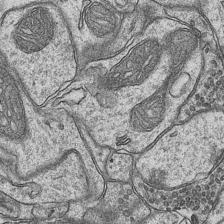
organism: Mouse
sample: CA1 Hippocampus